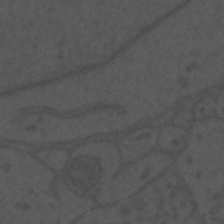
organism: Mouse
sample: Suprachiasmatic nucleus